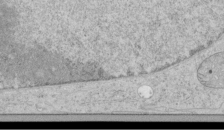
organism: Human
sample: Mitochondria in HCT116 cells